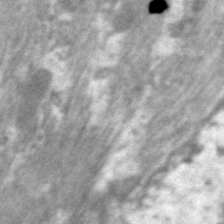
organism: C. elegans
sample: Pharynx